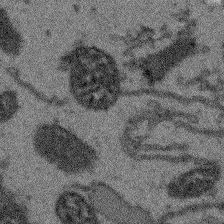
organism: Arabidopsis thaliana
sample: Root tip